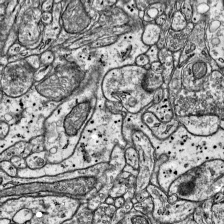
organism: Mouse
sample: Visual Cortex